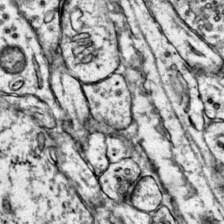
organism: Mouse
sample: Primary visual cortex